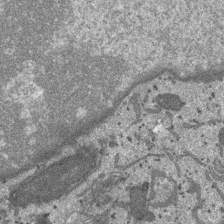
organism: Human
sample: Lung epithelial cells infected with SARS-CoV-2